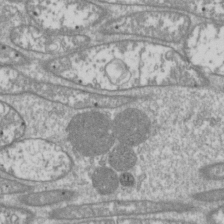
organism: Drosophila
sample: Cell division; meiosis; drosophila spermatocytes